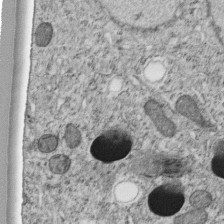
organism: C. elegans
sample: C. elegans embryo early stage